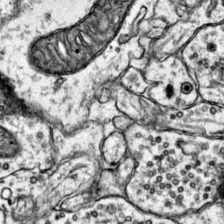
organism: Mouse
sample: Primary visual cortex